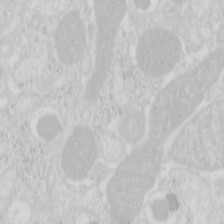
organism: Mouse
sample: Pancreas